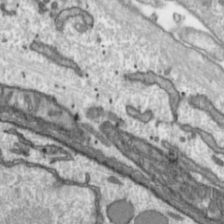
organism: Toxoplasma gondii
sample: Parasites in a vacuole inside a host cell